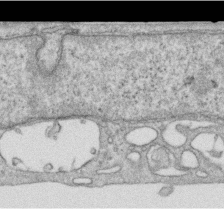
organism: Human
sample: Centriole in RPE cells